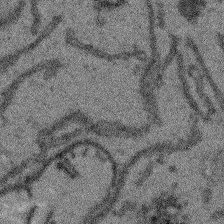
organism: Arabidopsis thaliana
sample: Root tip